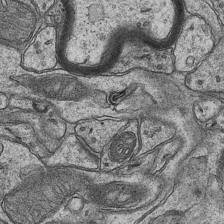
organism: Mouse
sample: CA1 Hippocampus